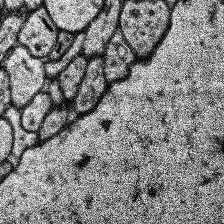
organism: Human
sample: Temporal Lobe